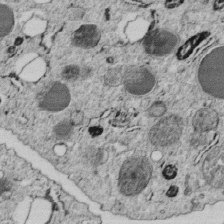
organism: C. elegans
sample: C. elegans embryo early stage